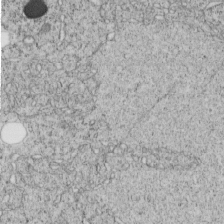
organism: C. elegans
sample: C. elegans embryo early stage